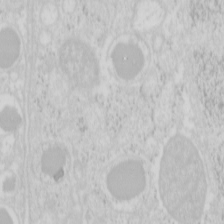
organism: Mouse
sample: Pancreas